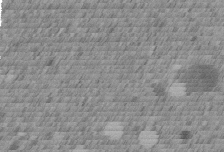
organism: C. elegans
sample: C. elegans embryo early stage